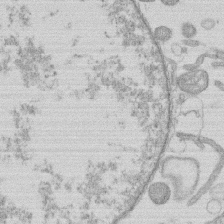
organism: Human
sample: Macrophage cells